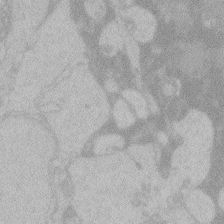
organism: Zebrafish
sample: Macrophage infected with Toxoplasma gondii